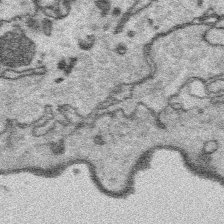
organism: Platynereis dumerilii